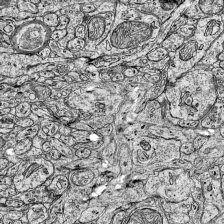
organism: Mouse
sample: Visual Cortex